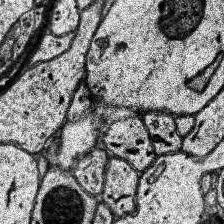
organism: Human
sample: Temporal Lobe